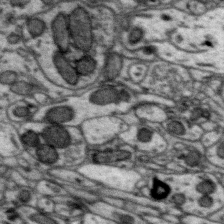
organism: Zebra finch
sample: Brain